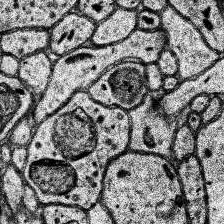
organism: Human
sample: Temporal Lobe